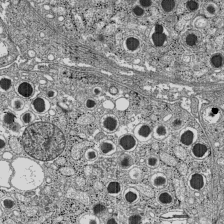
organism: C57BL Mouse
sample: Pancreatic islet